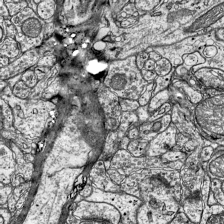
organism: Mouse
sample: Visual Cortex